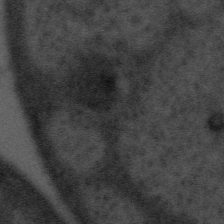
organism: Tuwongella immobilis